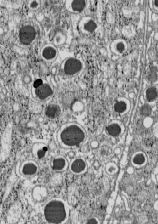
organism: C57BL Mouse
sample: Pancreatic islet